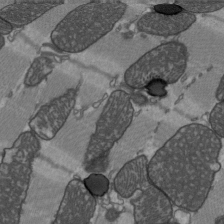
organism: C57BL Mouse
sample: Heart